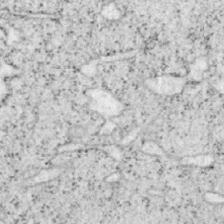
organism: Mouse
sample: OT-I killer T cells with ID8 ovarian cancer cells